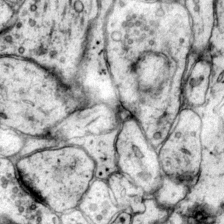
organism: Mouse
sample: Primary visual cortex